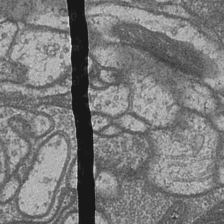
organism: Drosophila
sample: Optic medulla